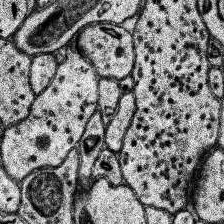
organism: Human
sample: Temporal Lobe